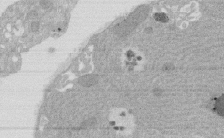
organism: Rat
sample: Salivary granule